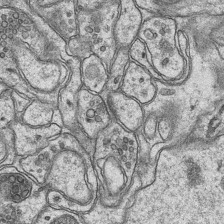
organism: Mouse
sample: CA1 Hippocampus